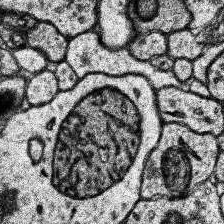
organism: Human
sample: Temporal Lobe